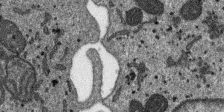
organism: Human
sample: Lung epithelial cells infected with SARS-CoV-2